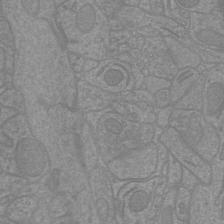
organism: Mouse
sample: Cortical neurons